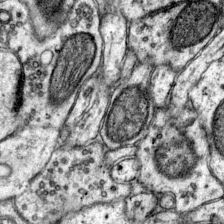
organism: Mouse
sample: Primary visual cortex